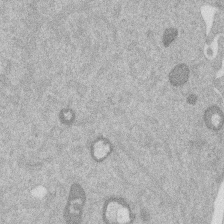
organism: Mouse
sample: Dividing mouse embryo 1 cell stage